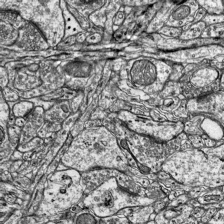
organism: Mouse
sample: Visual Cortex